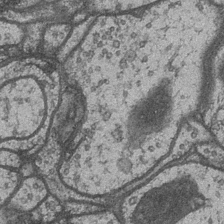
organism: Drosophila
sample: Optic medulla